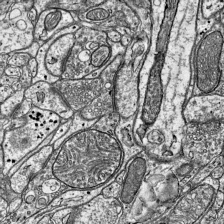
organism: Mouse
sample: Visual Cortex